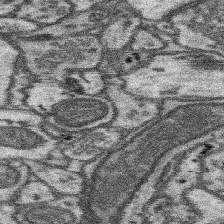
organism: Mouse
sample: Somatosensory cortex neuropil